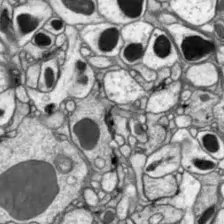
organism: Drosophila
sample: Optic lobe